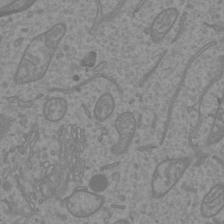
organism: Mouse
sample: Cortical neurons